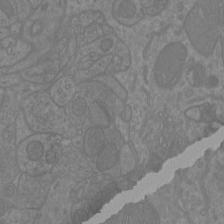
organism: Mouse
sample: Cortical neurons